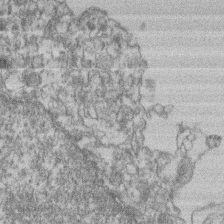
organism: Mouse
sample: T cell stromal cell synapse